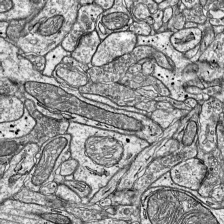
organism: Mouse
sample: Visual Cortex